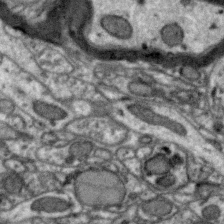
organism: Zebra finch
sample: Brain